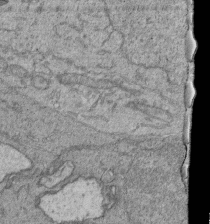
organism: Human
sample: Retinal organoid Rod and Cone cells